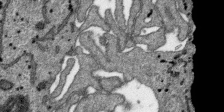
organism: Human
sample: Lung epithelial cells, uninfected (mock) control